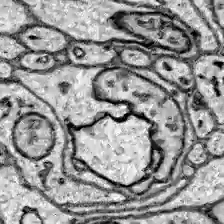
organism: Zebrafish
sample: Brain